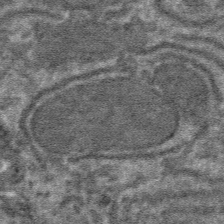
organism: Mouse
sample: Mouse hepatocytes